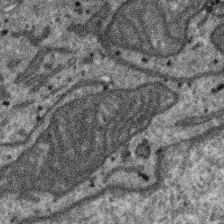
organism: Human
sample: Lung epithelial cells infected with SARS-CoV-2